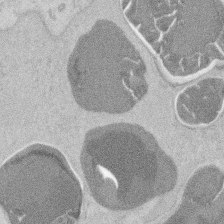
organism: Mouse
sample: T cell stromal cell synapse